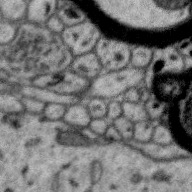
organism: Zebra finch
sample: Brain